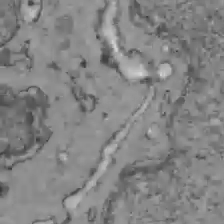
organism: C57BL Mouse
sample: Liver